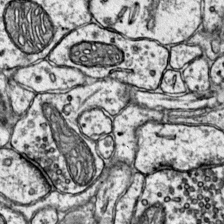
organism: Mouse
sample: Primary visual cortex